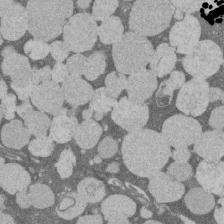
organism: Rat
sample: Salivary granule